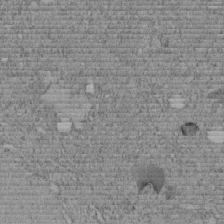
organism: C. elegans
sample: C. elegans embryo early stage